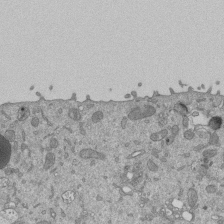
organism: Mouse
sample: ED-1 cell nuclei; centrioles